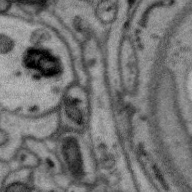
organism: Zebra finch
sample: Brain